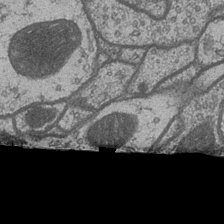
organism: Drosophila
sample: Optic medulla